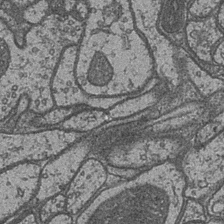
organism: Drosophila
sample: Optic medulla